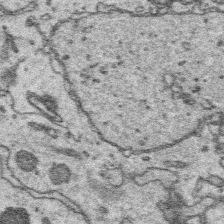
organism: Platynereis dumerilii